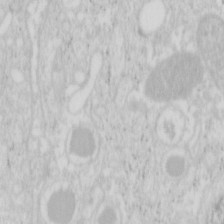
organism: Mouse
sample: Pancreas